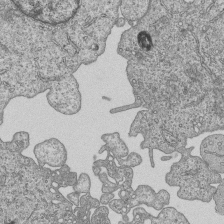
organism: Human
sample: MDA-MB-231 cells